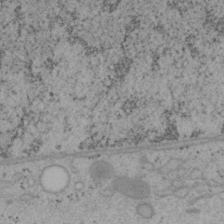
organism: Human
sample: HeLa cells